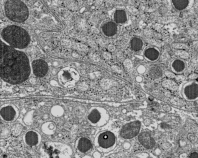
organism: C57BL Mouse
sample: Pancreatic islet